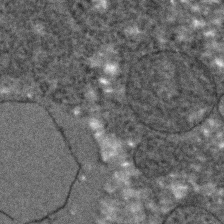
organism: C. elegans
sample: C. elegans embryo